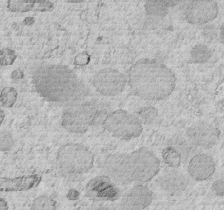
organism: C. elegans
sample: C. elegans embryo early stage